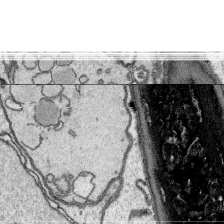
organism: Platynereis dumerilii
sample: Parapodia